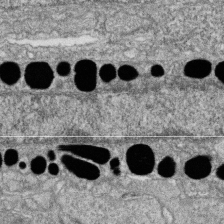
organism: Zebrafish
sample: Cilia; retinal pigment epithelium